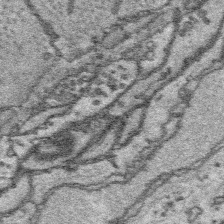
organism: Platynereis dumerilii